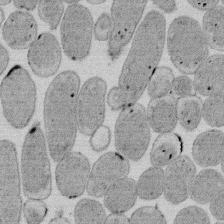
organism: E. coli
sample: Bacterial nucleoid